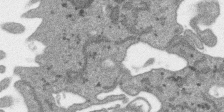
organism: Human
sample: Lung epithelial cells infected with SARS-CoV-2